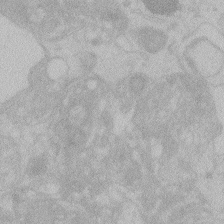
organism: Zebrafish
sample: Macrophage infected with Toxoplasma gondii